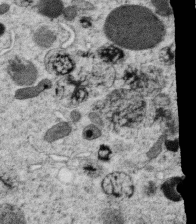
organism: C. elegans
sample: C. elegans oocyte; sperm cells